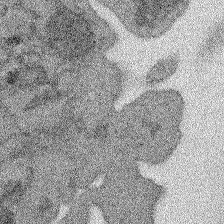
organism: Human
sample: HeLa cells